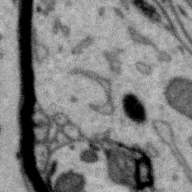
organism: Zebra finch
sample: Brain